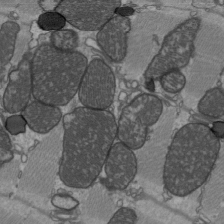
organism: C57BL Mouse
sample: Heart